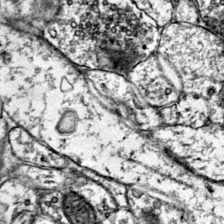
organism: Mouse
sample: Primary visual cortex